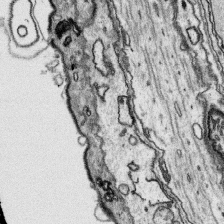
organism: Platynereis dumerilii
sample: Parapodia